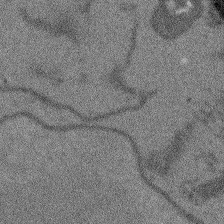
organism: Arabidopsis thaliana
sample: Root tip